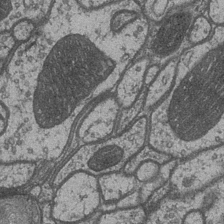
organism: Drosophila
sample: Optic medulla